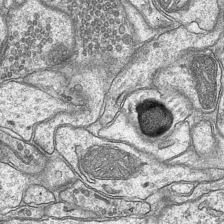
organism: Mouse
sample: CA1 Hippocampus